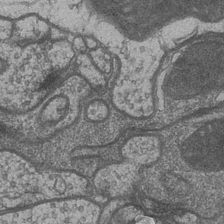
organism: Drosophila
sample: Optic medulla